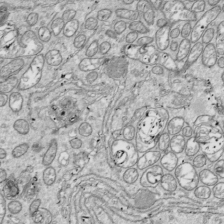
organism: Drosophila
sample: Cell division; meiosis; drosophila spermatocytes